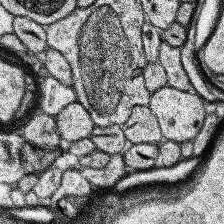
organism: Human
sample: Temporal Lobe